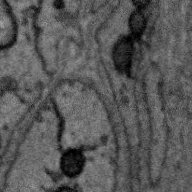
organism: Zebra finch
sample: Brain